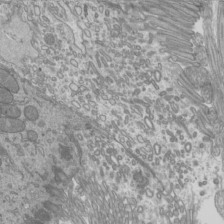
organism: Mouse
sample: Cilia; mouse epididymis